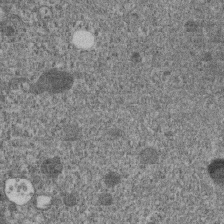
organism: C. elegans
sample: C. elegans embryo early stage